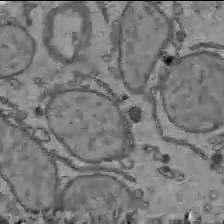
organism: C57BL Mouse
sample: Liver